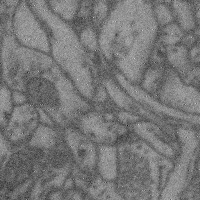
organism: Mouse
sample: Cerebral cortex